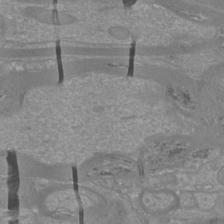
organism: Mouse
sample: Cortical neurons